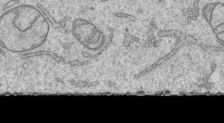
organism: Human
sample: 1205lu cells